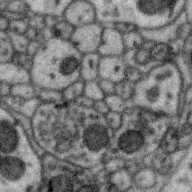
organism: Zebra finch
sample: Brain